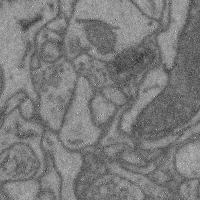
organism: Mouse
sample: Cerebral cortex